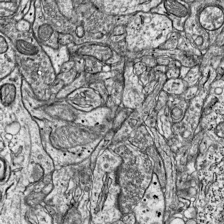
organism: Mouse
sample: Visual Cortex